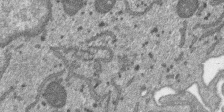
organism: Human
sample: Lung epithelial cells infected with SARS-CoV-2